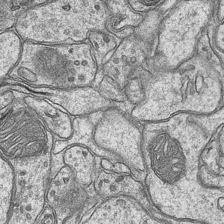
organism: Mouse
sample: CA1 Hippocampus